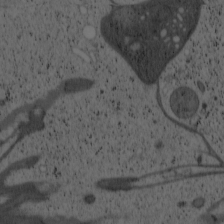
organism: African green monkey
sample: COS-7 cells